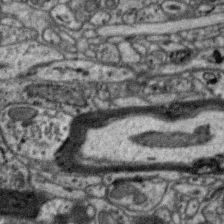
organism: Zebra finch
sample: Brain